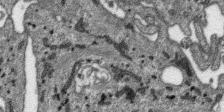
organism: Human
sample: Lung epithelial cells infected with SARS-CoV-2